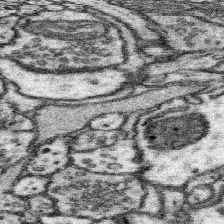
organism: Mouse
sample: Somatosensory cortex neuropil